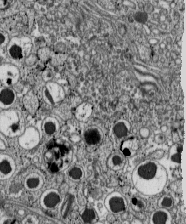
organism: C57BL Mouse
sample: Pancreatic islet